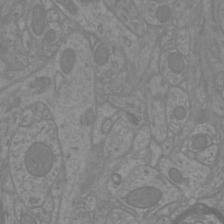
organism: Mouse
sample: Cortical neurons